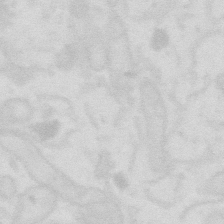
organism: Human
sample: HeLa cells